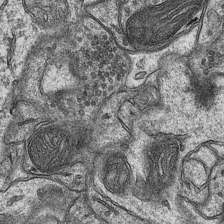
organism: Mouse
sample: CA1 Hippocampus